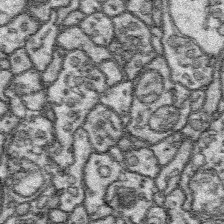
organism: Platynereis dumerilii